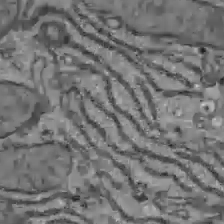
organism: C57BL Mouse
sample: Liver